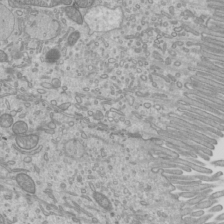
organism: Mouse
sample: Cilia; mouse epididymis